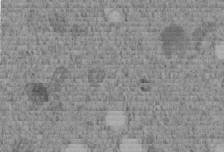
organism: C. elegans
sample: C. elegans embryo early stage